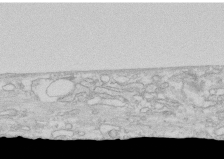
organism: Human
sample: CRL-1474